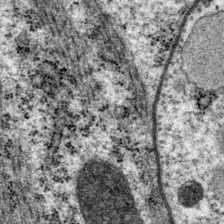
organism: P. pacificus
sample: Pharynx